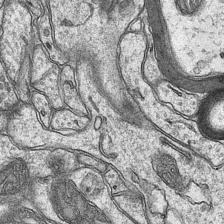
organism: Mouse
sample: CA1 Hippocampus